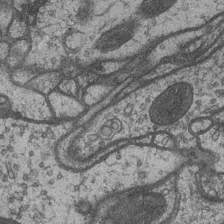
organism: Drosophila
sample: Optic medulla